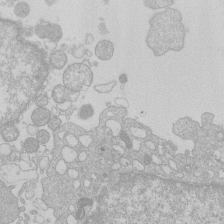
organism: Human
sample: Macrophage cells